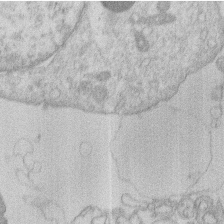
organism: Human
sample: Macrophage cells